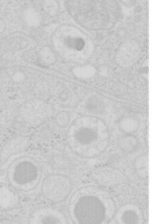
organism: Mouse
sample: Pancreas